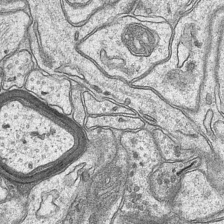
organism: Mouse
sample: CA1 Hippocampus